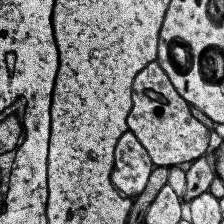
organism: Human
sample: Temporal Lobe